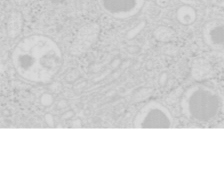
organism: Mouse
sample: Pancreas